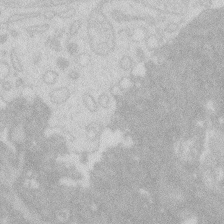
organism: Zebrafish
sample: Macrophage